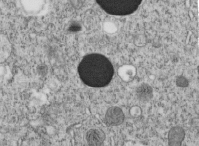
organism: C. elegans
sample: C. elegans embryo early stage